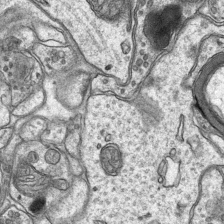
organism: Mouse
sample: CA1 Hippocampus